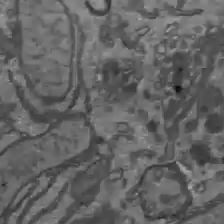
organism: C57BL Mouse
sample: Liver